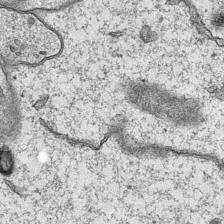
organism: Mouse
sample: CA1 Hippocampus